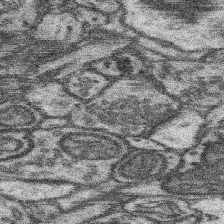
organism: Mouse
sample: Somatosensory cortex neuropil